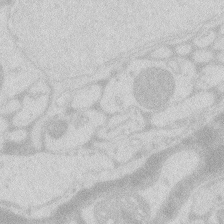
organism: Zebrafish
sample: Macrophage